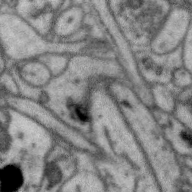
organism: Zebra finch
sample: Brain